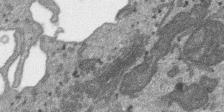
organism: Human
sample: Lung epithelial cells infected with SARS-CoV-2